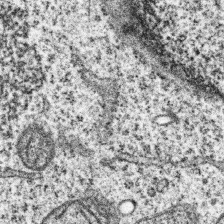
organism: Human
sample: HeLa cells